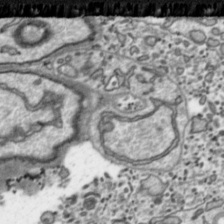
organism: Toxoplasma gondii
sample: Parasites in a vacuole inside a host cell